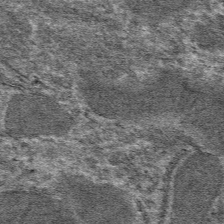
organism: Mouse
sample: Mouse hepatocytes